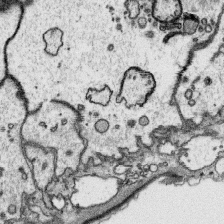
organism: Platynereis dumerilii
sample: Parapodia